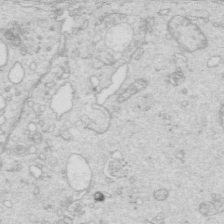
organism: Mouse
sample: Multiciliated cells